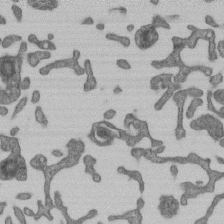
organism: Mouse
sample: Centriole in ependymal cells